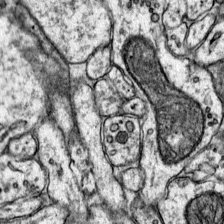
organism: Mouse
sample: Primary visual cortex